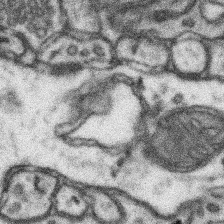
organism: Mouse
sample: Somatosensory cortex neuropil